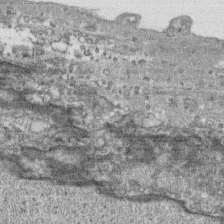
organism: Human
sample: CRL-1474